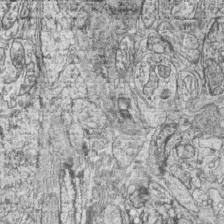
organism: Zebrafish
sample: synaptic ribbons in rod cells and cone cells